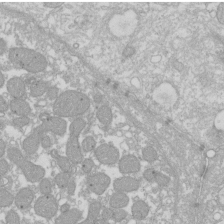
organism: Xenopus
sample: Cilia; centrioles in frog embryo cells